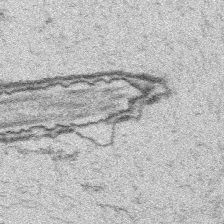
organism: Platynereis dumerilii